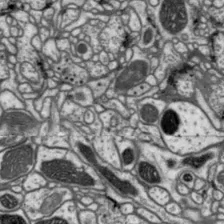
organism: Drosophila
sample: Protocerebral bridge